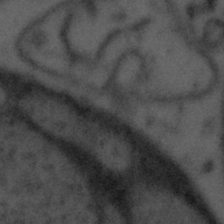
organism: Tuwongella immobilis